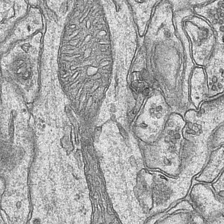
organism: Mouse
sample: CA1 Hippocampus